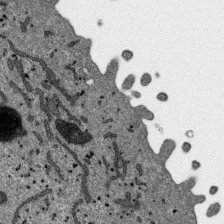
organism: Human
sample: Lung epithelial cells, uninfected (mock) control